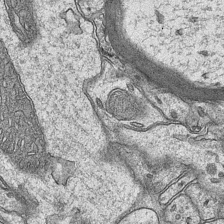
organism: Mouse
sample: CA1 Hippocampus